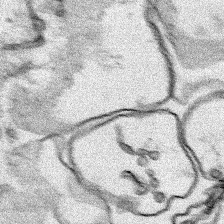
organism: Human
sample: Mitochondria in HCT116 cells